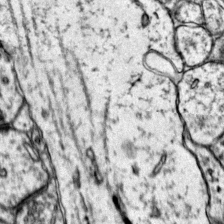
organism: Mouse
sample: Primary visual cortex